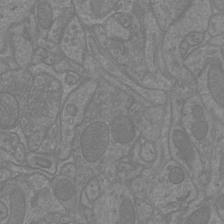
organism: Mouse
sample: Cortical neurons